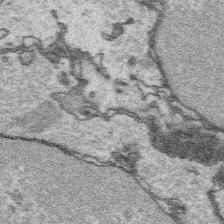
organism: Platynereis dumerilii